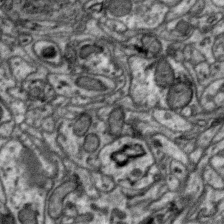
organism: Zebra finch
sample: Brain